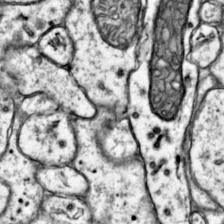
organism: Mouse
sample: Primary visual cortex